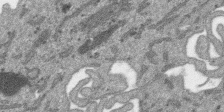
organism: Human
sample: Lung epithelial cells infected with SARS-CoV-2